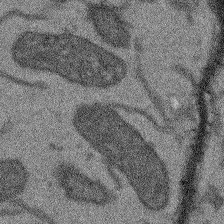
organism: Arabidopsis thaliana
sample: Root tip